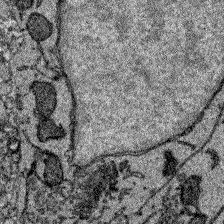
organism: Zebrafish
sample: Larval olfactory bulb